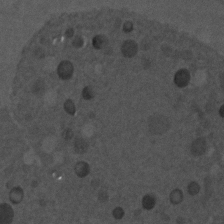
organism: C. elegans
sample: C. elegans embryo